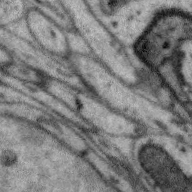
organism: Zebra finch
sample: Brain